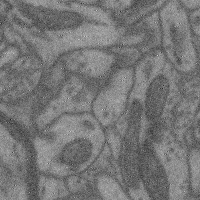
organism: Mouse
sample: Cerebral cortex